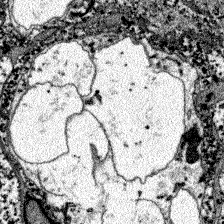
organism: Zebrafish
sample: Larval olfactory bulb